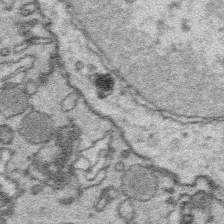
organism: Platynereis dumerilii